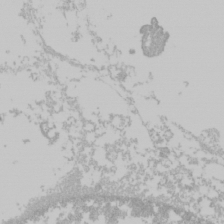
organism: Mouse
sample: Cancer cell death in ED-1 cells